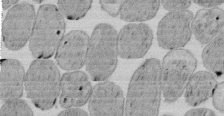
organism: E. coli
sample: Bacterial nucleoid